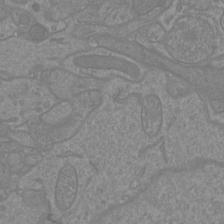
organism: Mouse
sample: Cortical neurons